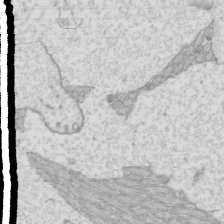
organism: Mouse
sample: Cilia; mouse epididymis